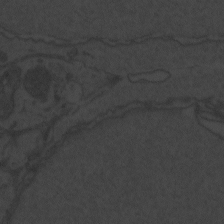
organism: Zebrafish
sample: Macrophage infected with Toxoplasma gondii